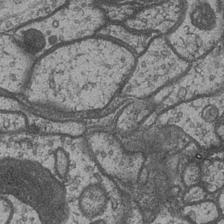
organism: Drosophila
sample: Optic medulla